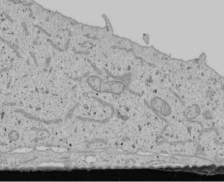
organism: Human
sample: Mitochondria in U2OS cells